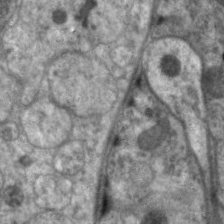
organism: C. elegans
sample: Pharynx